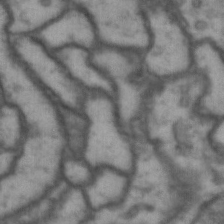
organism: Drosophila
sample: Brain